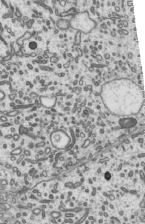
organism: Mouse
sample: Mouse epididymis efferent ductule cilia